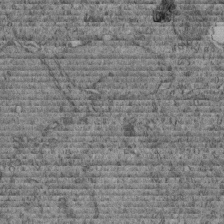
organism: C. elegans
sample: C. elegans embryo early stage